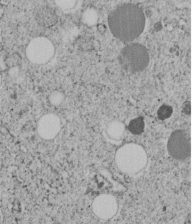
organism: C. elegans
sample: C. elegans embryo early stage